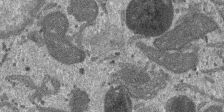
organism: Human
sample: Lung epithelial cells infected with SARS-CoV-2